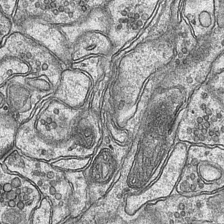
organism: Mouse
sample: CA1 Hippocampus